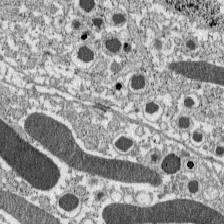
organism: C57BL Mouse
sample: Pancreatic islet